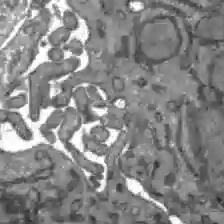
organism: C57BL Mouse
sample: Liver